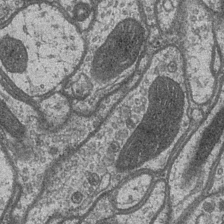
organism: Drosophila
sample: Optic medulla